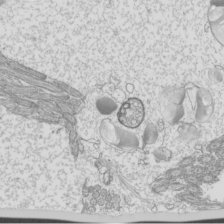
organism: Mouse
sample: Cilia; mouse epididymis